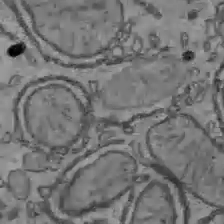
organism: C57BL Mouse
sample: Liver